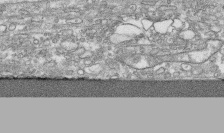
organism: Human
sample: CRL-1474